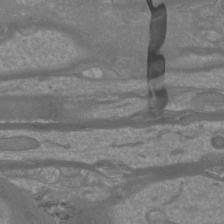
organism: Mouse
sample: Cortical neurons